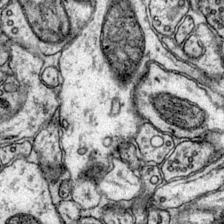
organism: Mouse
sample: Primary visual cortex